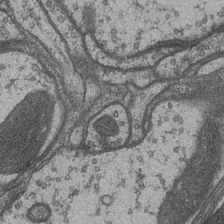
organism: Drosophila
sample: Optic medulla